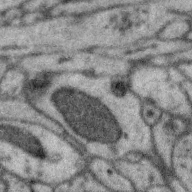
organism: Zebra finch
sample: Brain